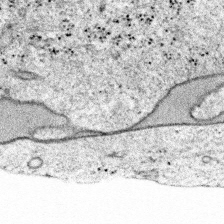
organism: Human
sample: HeLa cells